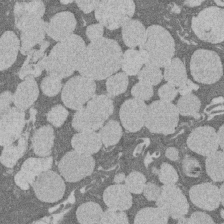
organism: Rat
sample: Salivary granule